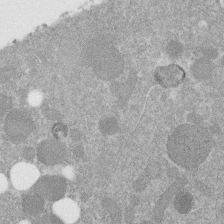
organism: C. elegans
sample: C. elegans embryo early stage